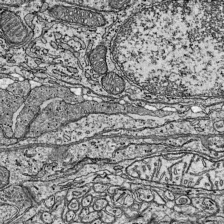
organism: Mouse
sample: Visual Cortex